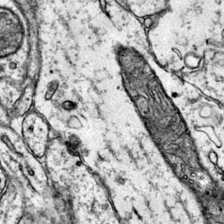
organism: Mouse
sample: Primary visual cortex